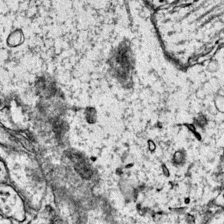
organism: Mouse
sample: Primary visual cortex